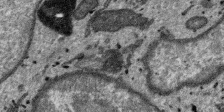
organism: Human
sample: Lung epithelial cells, uninfected (mock) control